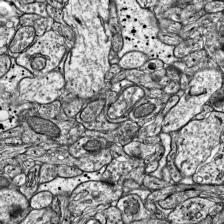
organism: Mouse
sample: Visual Cortex